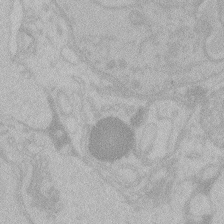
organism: Zebrafish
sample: Macrophage infected with Toxoplasma gondii